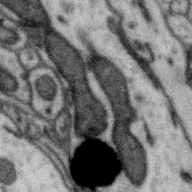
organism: Zebra finch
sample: Brain